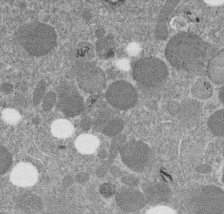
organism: C. elegans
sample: C. elegans embryo early stage